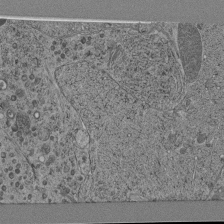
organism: C. elegans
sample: C. elegans pharynx